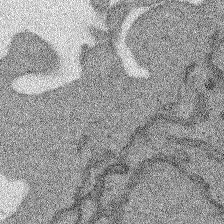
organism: Human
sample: HeLa cells